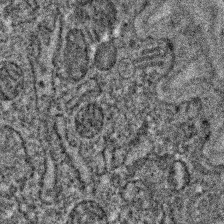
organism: C. elegans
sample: C. elegans embryo